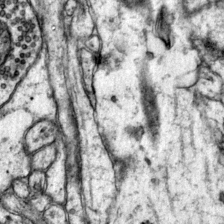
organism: Mouse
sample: Primary visual cortex